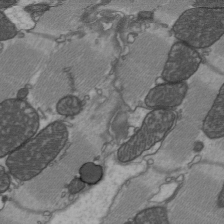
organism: C57BL Mouse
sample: Heart